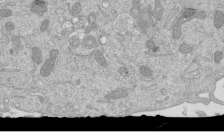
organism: Mouse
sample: ED-1 cell nuclei; centrioles